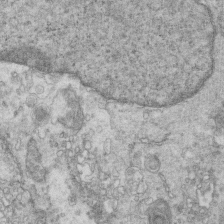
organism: Mouse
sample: Multiciliated cells